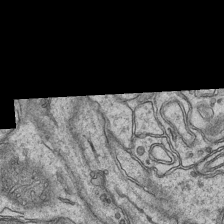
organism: Mouse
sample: CA1 Hippocampus